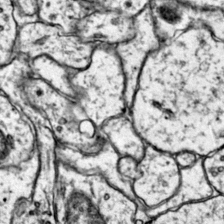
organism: Mouse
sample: Primary visual cortex